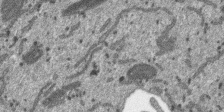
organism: Human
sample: Lung epithelial cells infected with SARS-CoV-2